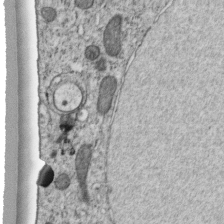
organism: C. elegans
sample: C. elegans embryo early stage